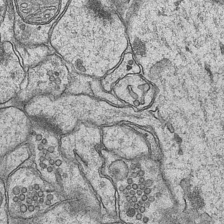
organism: Mouse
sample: CA1 Hippocampus